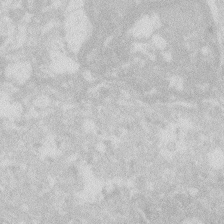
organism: Zebrafish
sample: Macrophage